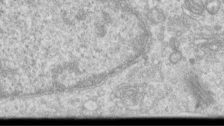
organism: Human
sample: Centriole in RPE cells